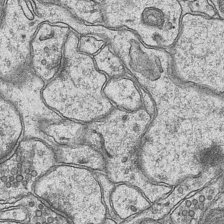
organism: Mouse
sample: CA1 Hippocampus